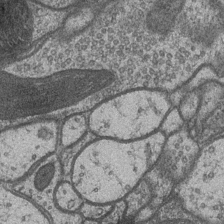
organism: Drosophila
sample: Optic medulla